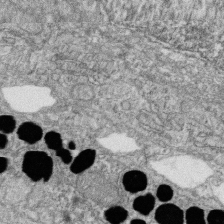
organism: Zebrafish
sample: Cilia; retinal pigment epithelium